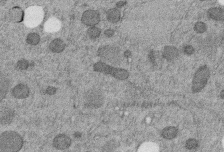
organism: C. elegans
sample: C. elegans embryo early stage